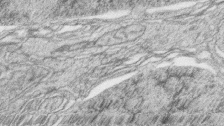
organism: Zebrafish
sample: synaptic ribbons in rod cells and cone cells